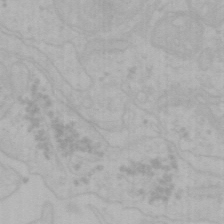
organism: Mouse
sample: Choroid plexus